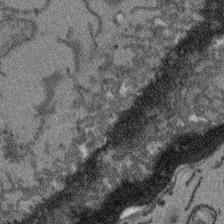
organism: Arabidopsis thaliana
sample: Root tip